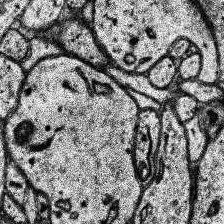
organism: Human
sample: Temporal Lobe